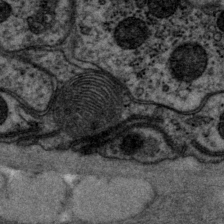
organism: P. pacificus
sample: Pharynx